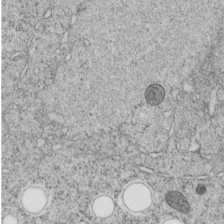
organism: C. elegans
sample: C. elegans embryo early stage